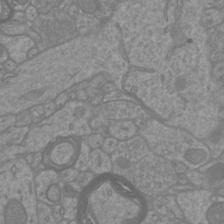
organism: Mouse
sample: Cortical neurons